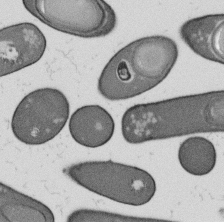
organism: B. subtilis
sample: Bacterial spore